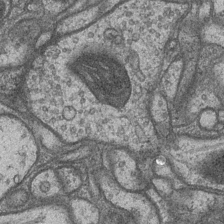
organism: Drosophila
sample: Optic medulla